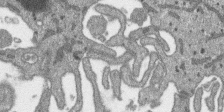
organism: Human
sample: Lung epithelial cells infected with SARS-CoV-2